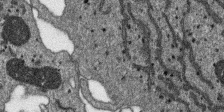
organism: Human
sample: Lung epithelial cells infected with SARS-CoV-2